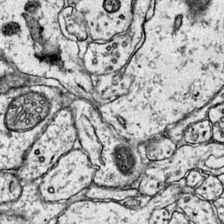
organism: Mouse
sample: Primary visual cortex